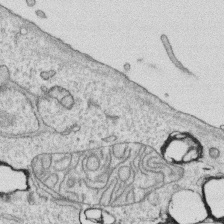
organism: Human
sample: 1205lu cells